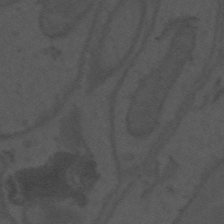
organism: Mouse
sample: Suprachiasmatic nucleus